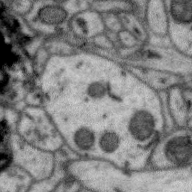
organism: Zebra finch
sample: Brain